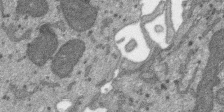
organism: Human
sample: Lung epithelial cells infected with SARS-CoV-2